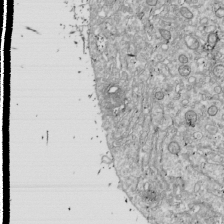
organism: Drosophila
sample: Cell division; meiosis; drosophila spermatocytes